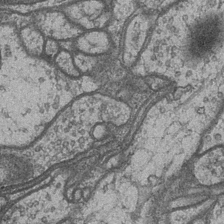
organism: Drosophila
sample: Optic medulla